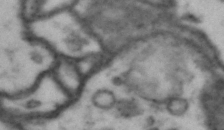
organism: Drosophila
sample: Brain